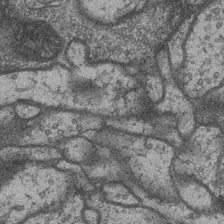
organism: Drosophila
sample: Optic medulla